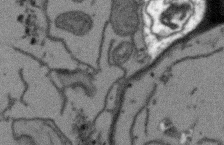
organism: Arabidopsis thaliana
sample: Root tip